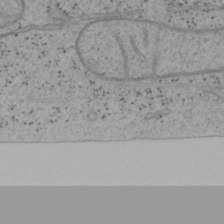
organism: Human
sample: HeLa cells